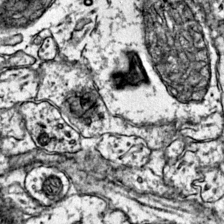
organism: Mouse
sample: Primary visual cortex